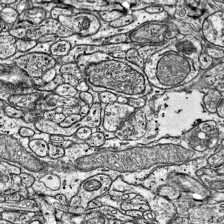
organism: Mouse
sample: Visual Cortex